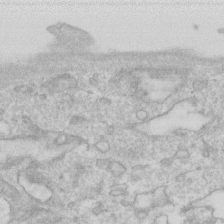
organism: Human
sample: Fibroblast cells